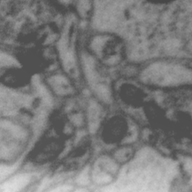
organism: Zebra finch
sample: Brain